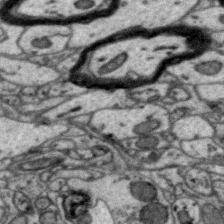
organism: Zebra finch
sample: Brain